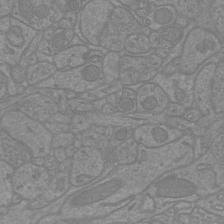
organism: Mouse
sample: Cortical neurons